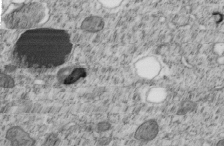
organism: C. elegans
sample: C. elegans embryo early stage